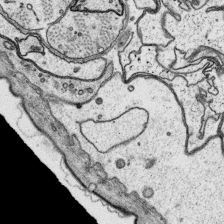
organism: Platynereis dumerilii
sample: Parapodia